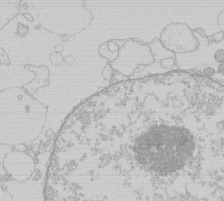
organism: Human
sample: Macrophage cells